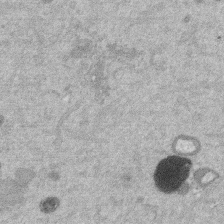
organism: Mouse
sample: Dividing mouse embryo 1 cell stage